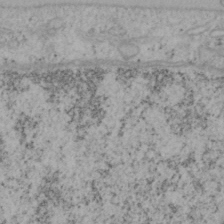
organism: Human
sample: HeLa cells